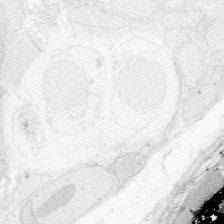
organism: Zebrafish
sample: Whole-Brain